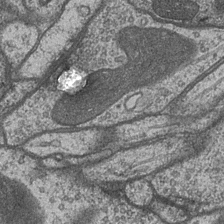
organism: Drosophila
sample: Optic medulla